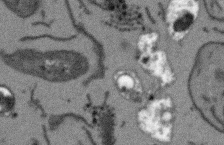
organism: Arabidopsis thaliana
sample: Root tip